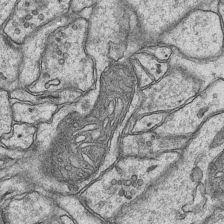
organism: Mouse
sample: CA1 Hippocampus